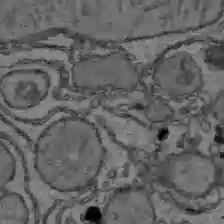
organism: C57BL Mouse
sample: Liver